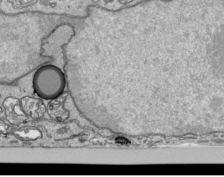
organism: Human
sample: Mitochondria in HCT116 cells